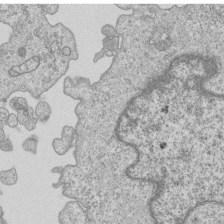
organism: Human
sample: MDA-MB-231 cells